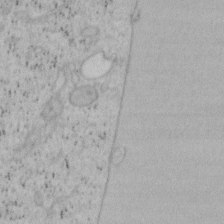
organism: Human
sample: HeLa cells